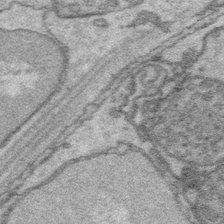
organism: Platynereis dumerilii